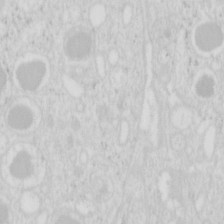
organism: Mouse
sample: Pancreas